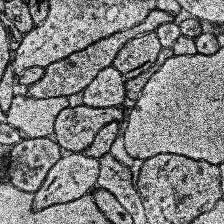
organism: Human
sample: Temporal Lobe